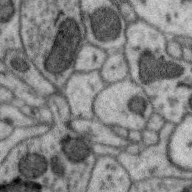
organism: Zebra finch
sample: Brain